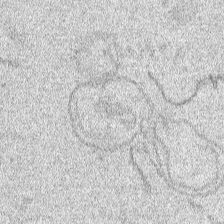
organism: Human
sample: Mitochondria in HCT116 cells